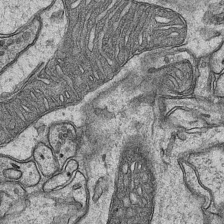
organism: Mouse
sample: CA1 Hippocampus